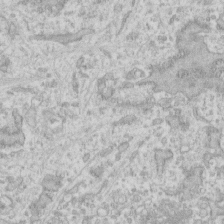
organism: Human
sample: Fibroblast cells